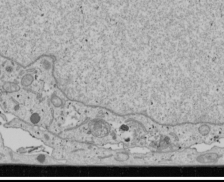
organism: Human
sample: Mitochondria in U2OS cells